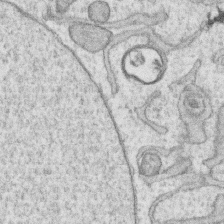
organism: Human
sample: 1205lu cells